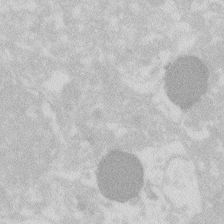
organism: Zebrafish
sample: Macrophage